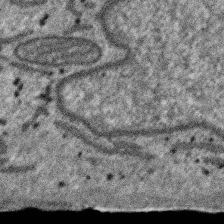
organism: Human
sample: Lung epithelial cells infected with SARS-CoV-2